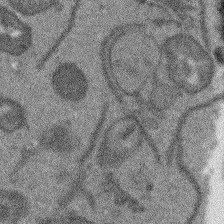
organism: Arabidopsis thaliana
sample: Root tip